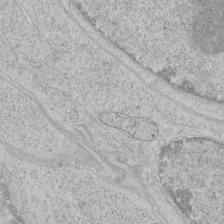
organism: Human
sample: Mitochondria in HCT116 cells